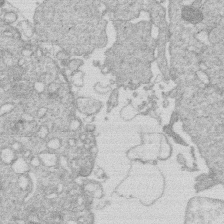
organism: Human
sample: Macrophage cells